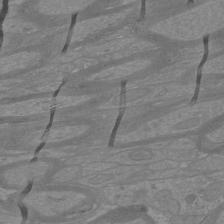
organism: Mouse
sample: Cortical neurons